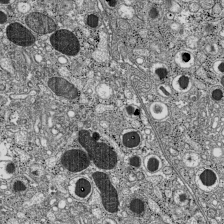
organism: C57BL Mouse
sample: Pancreatic islet